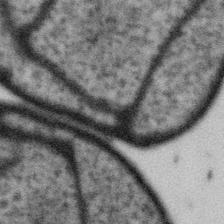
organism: Gemmata obscuriglobus